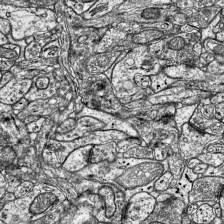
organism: Mouse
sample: Visual Cortex